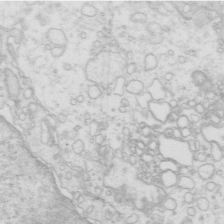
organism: Mouse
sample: Multiciliated cells